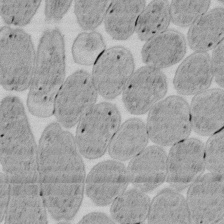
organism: E. coli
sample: Bacterial nucleoid